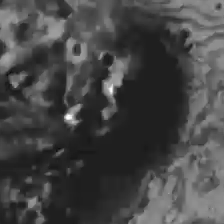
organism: C57BL Mouse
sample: Liver